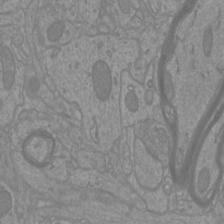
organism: Mouse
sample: Cortical neurons